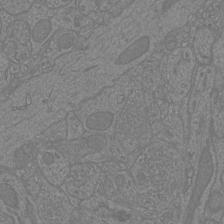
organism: Mouse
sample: Cortical neurons